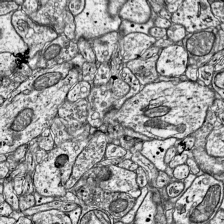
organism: Mouse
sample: Visual Cortex